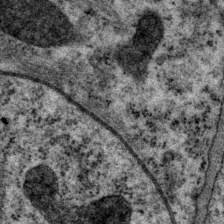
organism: P. pacificus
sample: Pharynx